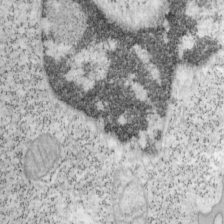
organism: Mouse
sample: OT-I killer T cells with ID8 ovarian cancer cells